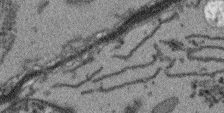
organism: Arabidopsis thaliana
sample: Root tip